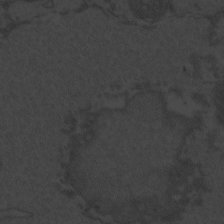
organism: Zebrafish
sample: Macrophage infected with Toxoplasma gondii